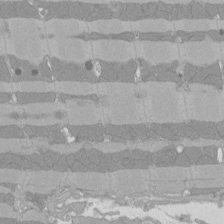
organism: Rat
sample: Left ventricle